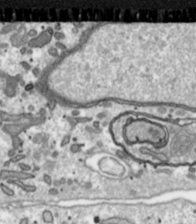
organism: Toxoplasma gondii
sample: Parasites in a vacuole inside a host cell